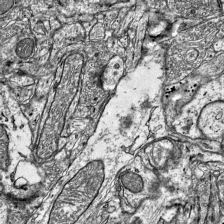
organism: Mouse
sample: Visual Cortex